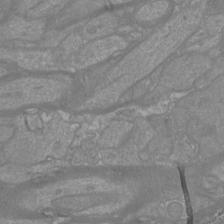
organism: Mouse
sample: Cortical neurons